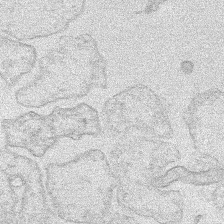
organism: Human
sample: Mitochondria in HCT116 cells